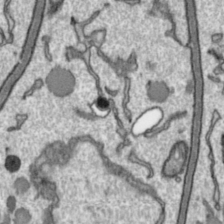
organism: Toxoplasma gondii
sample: Parasites in a vacuole inside a host cell